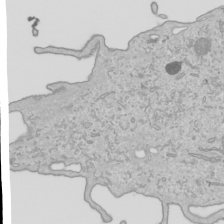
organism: Human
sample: Mitochondria in HCT116 cells